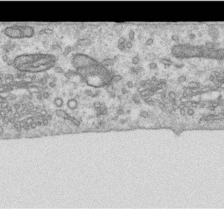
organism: Human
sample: Centriole in RPE cells